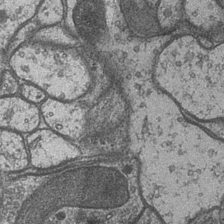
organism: Drosophila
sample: Optic medulla